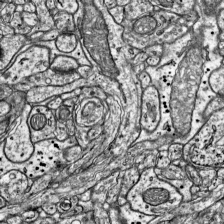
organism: Mouse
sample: Visual Cortex